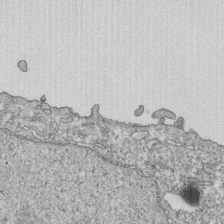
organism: Human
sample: HeLa cell HIV synapse